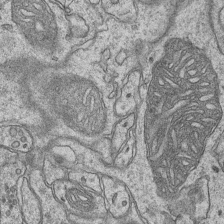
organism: Mouse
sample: CA1 Hippocampus